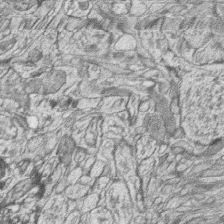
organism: Zebrafish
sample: synaptic ribbons in rod cells and cone cells